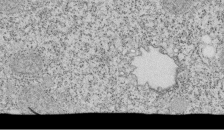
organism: Tetrahymena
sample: Cilia in tetrahymena